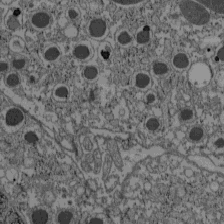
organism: C57BL Mouse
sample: Pancreatic islet